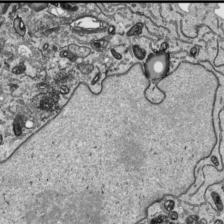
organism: Human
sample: Mitochondria in HCT116 cells